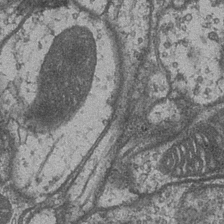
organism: Drosophila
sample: Optic medulla